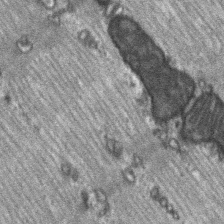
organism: C57BL Mouse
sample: Soleus